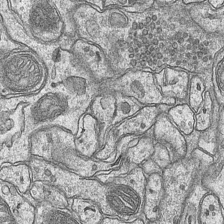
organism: Mouse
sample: CA1 Hippocampus